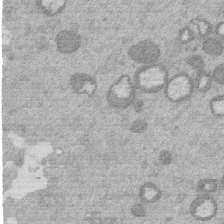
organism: Mouse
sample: Dividing mouse embryo 1 cell stage